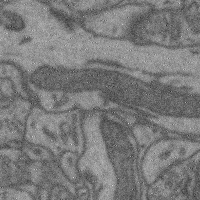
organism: Mouse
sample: Cerebral cortex